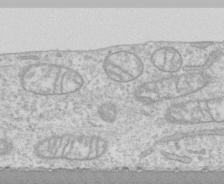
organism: Human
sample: CRL-1474